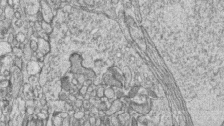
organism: Zebrafish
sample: synaptic ribbons in rod cells and cone cells